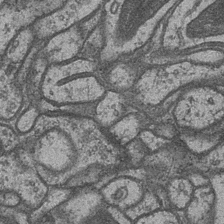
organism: Drosophila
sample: Optic medulla